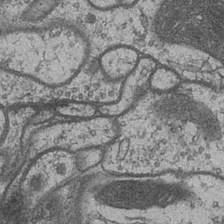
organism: Drosophila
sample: Optic medulla